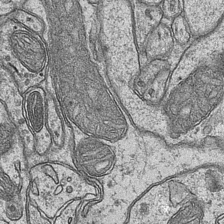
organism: Mouse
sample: CA1 Hippocampus